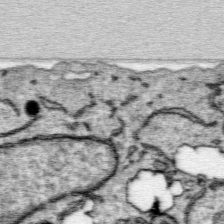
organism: Human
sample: HeLa cells